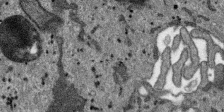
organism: Human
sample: Lung epithelial cells, uninfected (mock) control